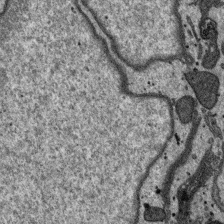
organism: Human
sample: Lung epithelial cells, uninfected (mock) control